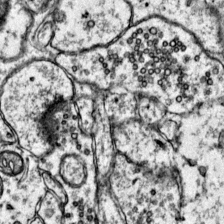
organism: Mouse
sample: Primary visual cortex